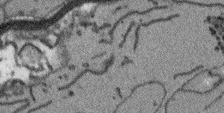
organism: Arabidopsis thaliana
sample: Root tip